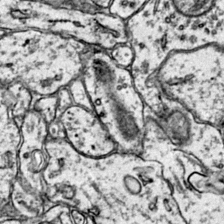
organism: Mouse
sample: Primary visual cortex